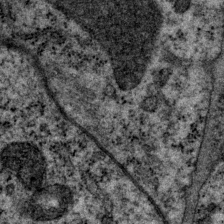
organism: P. pacificus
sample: Pharynx